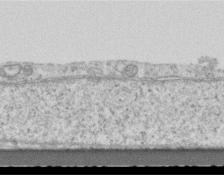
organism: Mouse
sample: Centriole in ependymal cells